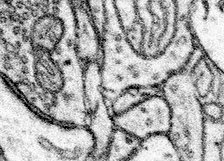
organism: Mouse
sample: Somatosensory cortex neuropil